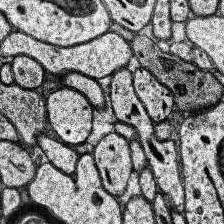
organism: Human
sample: Temporal Lobe